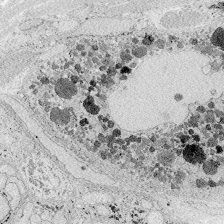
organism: Zebrafish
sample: Whole-Brain